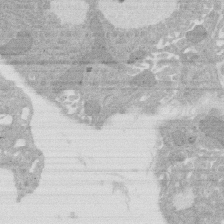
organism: Rat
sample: Salivary granule